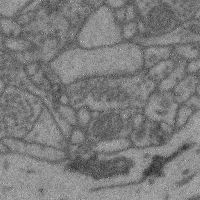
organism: Mouse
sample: Cerebral cortex